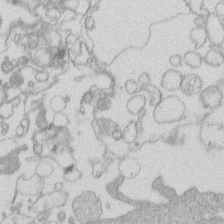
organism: Human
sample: Macrophage cells